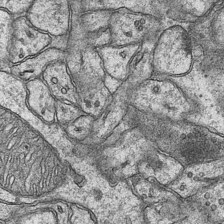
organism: Mouse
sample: CA1 Hippocampus